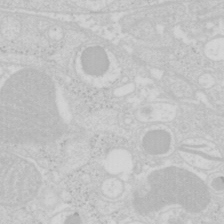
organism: Mouse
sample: Pancreas